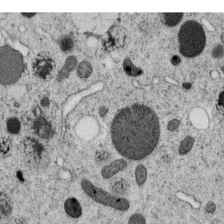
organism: C. elegans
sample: C. elegans oocyte; sperm cells